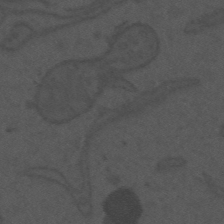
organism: Mouse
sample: Suprachiasmatic nucleus